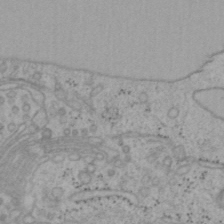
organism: Human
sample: HeLa cells